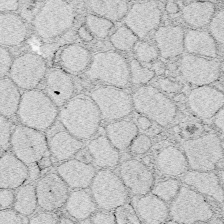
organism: Zebrafish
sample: Whole-Brain